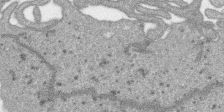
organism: Human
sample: Lung epithelial cells infected with SARS-CoV-2